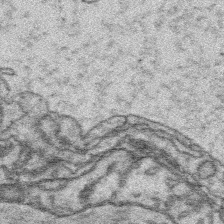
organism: Platynereis dumerilii